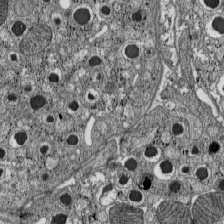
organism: C57BL Mouse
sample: Pancreatic islet